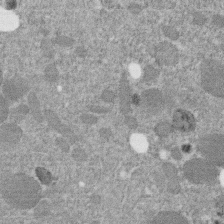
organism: C. elegans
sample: C. elegans embryo early stage